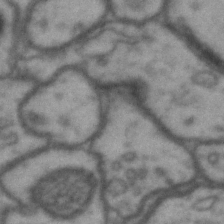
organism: Drosophila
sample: Brain